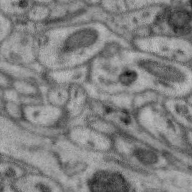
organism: Zebra finch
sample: Brain